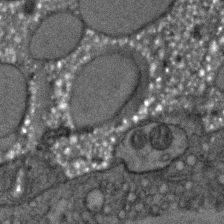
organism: C. elegans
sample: C. elegans embryo